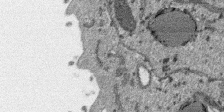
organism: Human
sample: Lung epithelial cells infected with SARS-CoV-2